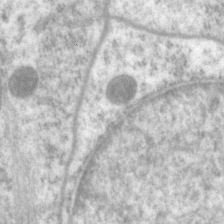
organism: P. pacificus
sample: Pharynx